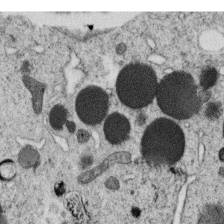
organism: C. elegans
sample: C. elegans oocyte; sperm cells